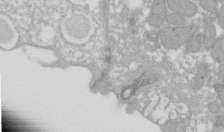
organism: Xenopus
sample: Cilia; centrioles in frog embryo cells